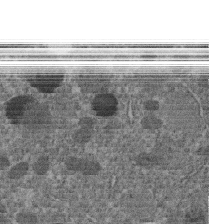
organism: C. elegans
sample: C. elegans embryo early stage